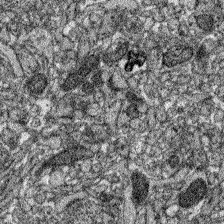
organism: Zebrafish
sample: Larval olfactory bulb